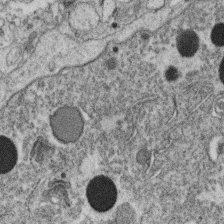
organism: C. elegans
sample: C. elegans oocyte; sperm cells